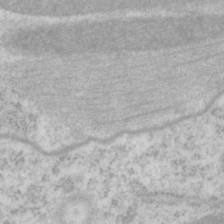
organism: P. pacificus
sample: Pharynx